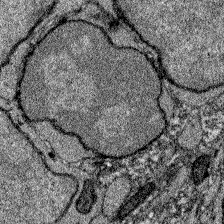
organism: Zebrafish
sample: Larval olfactory bulb